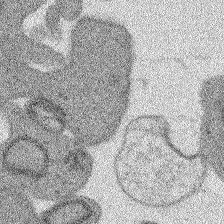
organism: Human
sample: HeLa cells